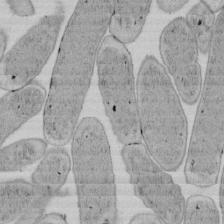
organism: E. coli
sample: Bacterial nucleoid